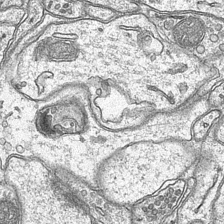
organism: Mouse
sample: CA1 Hippocampus